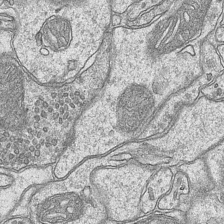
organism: Mouse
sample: CA1 Hippocampus